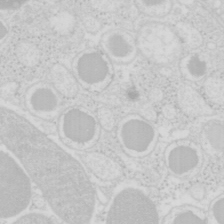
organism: Mouse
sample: Pancreas